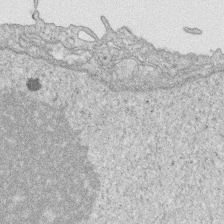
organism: Human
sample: HeLa cell HIV synapse